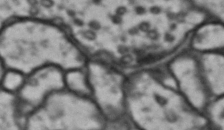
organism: Drosophila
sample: Brain